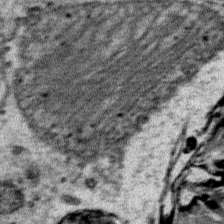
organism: Mouse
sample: Mouse Salivary gland